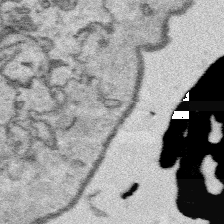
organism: Platynereis dumerilii